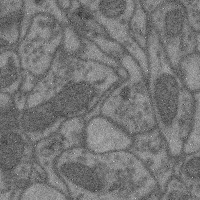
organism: Mouse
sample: Cerebral cortex